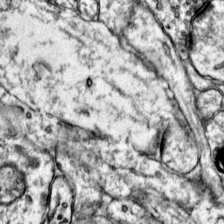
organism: Mouse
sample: Primary visual cortex